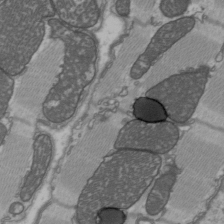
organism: C57BL Mouse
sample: Heart